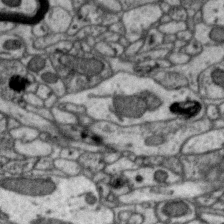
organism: Zebra finch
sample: Brain